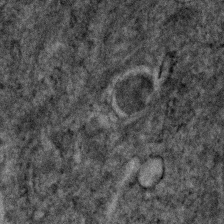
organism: Human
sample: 1205lu cells